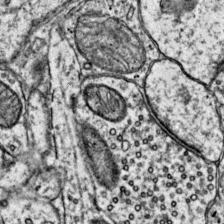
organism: Mouse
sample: Primary visual cortex